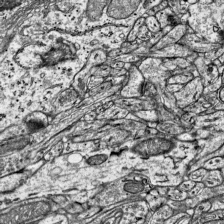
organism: Mouse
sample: Visual Cortex